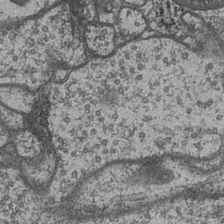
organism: Drosophila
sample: Optic medulla